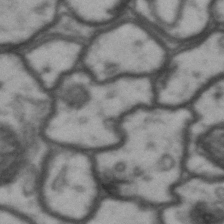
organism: Drosophila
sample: Brain